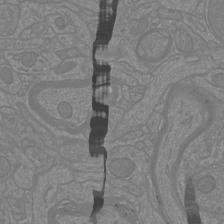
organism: Mouse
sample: Cortical neurons